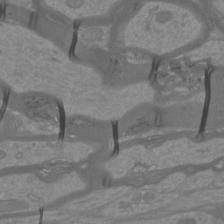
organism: Mouse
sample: Cortical neurons